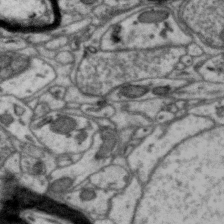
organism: Zebra finch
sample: Brain